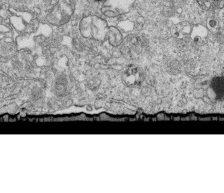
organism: Human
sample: HeLa cell HIV synapse